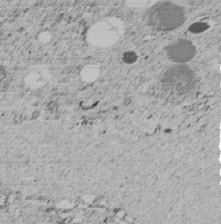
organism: C. elegans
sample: C. elegans embryo early stage